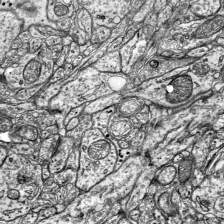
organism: Mouse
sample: Visual Cortex